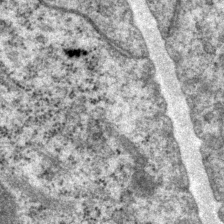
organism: P. pacificus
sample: Pharynx